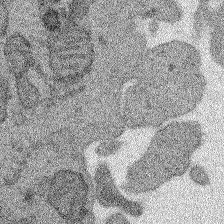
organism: Human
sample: HeLa cells